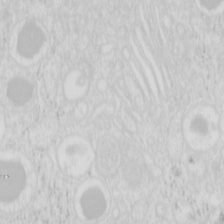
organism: Mouse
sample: Pancreas